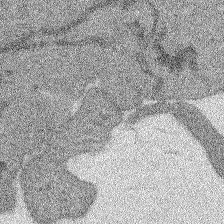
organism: Human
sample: HeLa cells